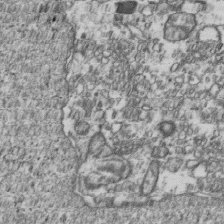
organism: Human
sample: Activated Jurkat CD4+ T cells